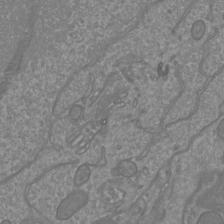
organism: Mouse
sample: Cortical neurons